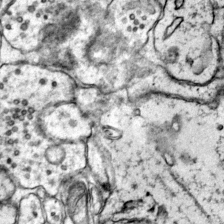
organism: Mouse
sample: Primary visual cortex